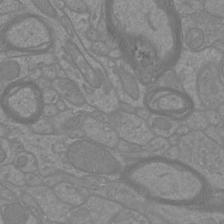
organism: Mouse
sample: Cortical neurons